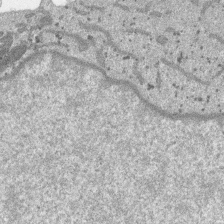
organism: Human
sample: Lung epithelial cells infected with SARS-CoV-2